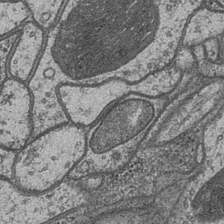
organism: Drosophila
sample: Optic medulla